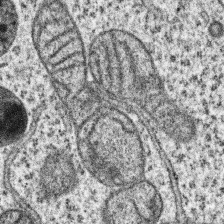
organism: Human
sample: HeLa cells